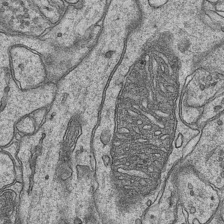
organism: Mouse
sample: CA1 Hippocampus